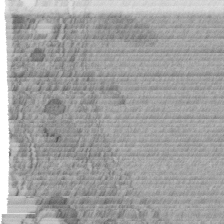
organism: C. elegans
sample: C. elegans embryo early stage